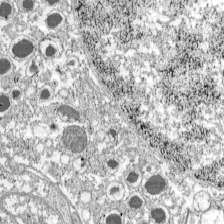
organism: C57BL Mouse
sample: Pancreatic islet